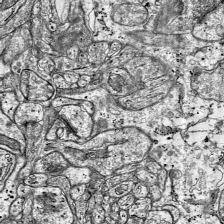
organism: Mouse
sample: Visual Cortex